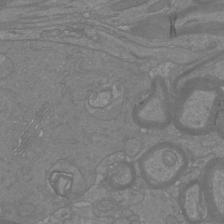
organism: Mouse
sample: Cortical neurons